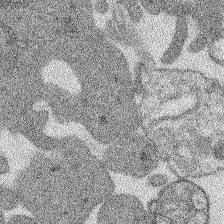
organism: Human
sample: HeLa cells